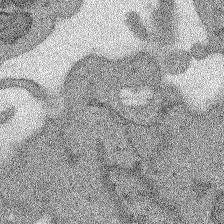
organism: Human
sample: HeLa cells